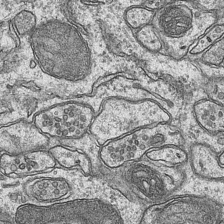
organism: Mouse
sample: CA1 Hippocampus